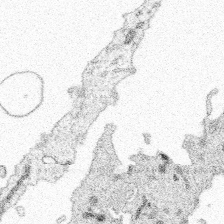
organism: Spongilla lacustris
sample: Multiple